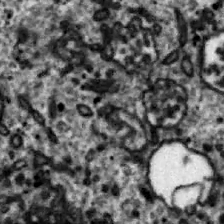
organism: Human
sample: HeLa cells